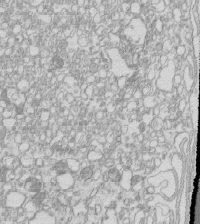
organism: Mouse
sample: Macrophages